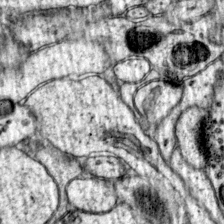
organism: Mouse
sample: Primary visual cortex